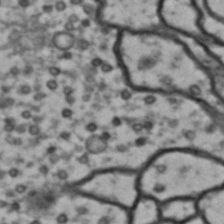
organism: Drosophila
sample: Brain